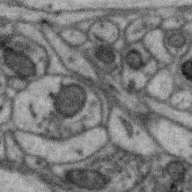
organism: Zebra finch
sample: Brain